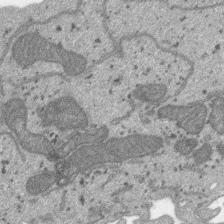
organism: Human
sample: Lung epithelial cells infected with SARS-CoV-2